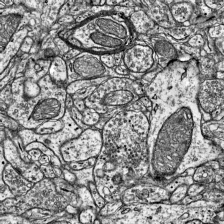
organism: Mouse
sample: Visual Cortex